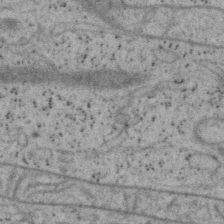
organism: Human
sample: HeLa cells